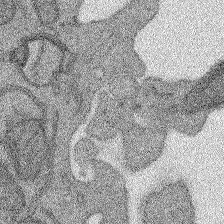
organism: Human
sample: HeLa cells